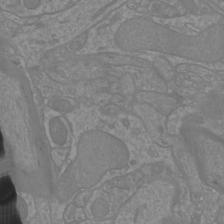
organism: Mouse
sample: Cortical neurons